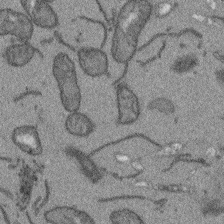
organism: Arabidopsis thaliana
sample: Root tip